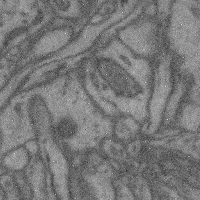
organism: Mouse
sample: Cerebral cortex